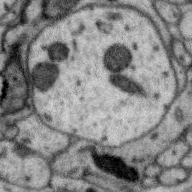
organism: Zebra finch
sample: Brain